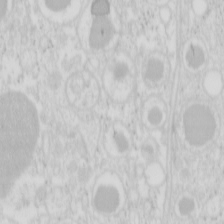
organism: Mouse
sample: Pancreas